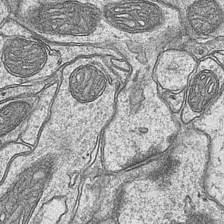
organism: Mouse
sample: CA1 Hippocampus